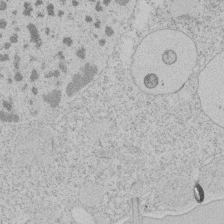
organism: Tetrahymena